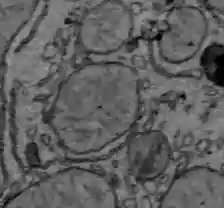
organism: C57BL Mouse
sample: Liver